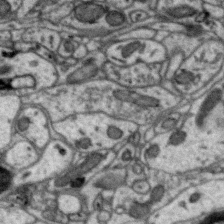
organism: Zebra finch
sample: Brain